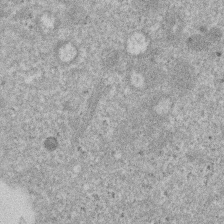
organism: Mouse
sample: Dividing mouse embryo 1 cell stage